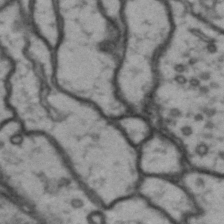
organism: Drosophila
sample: Brain